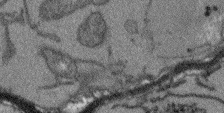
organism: Arabidopsis thaliana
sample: Root tip